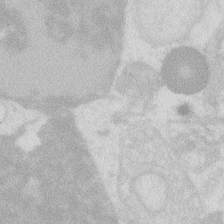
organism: Zebrafish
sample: Macrophage